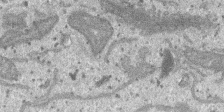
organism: Human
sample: Lung epithelial cells infected with SARS-CoV-2